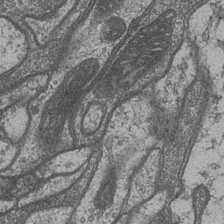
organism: Drosophila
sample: Optic medulla